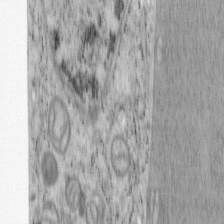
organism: Human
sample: HeLa cells